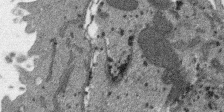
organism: Human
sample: Lung epithelial cells infected with SARS-CoV-2